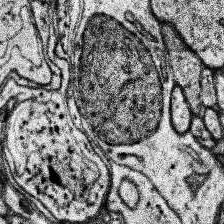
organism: Human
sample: Temporal Lobe